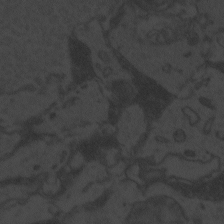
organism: Zebrafish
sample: Macrophage infected with Toxoplasma gondii